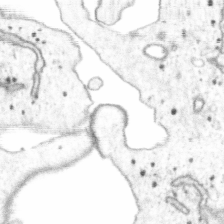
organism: Human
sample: HeLa cells